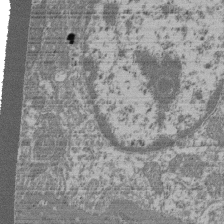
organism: Mouse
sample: Glomerulus